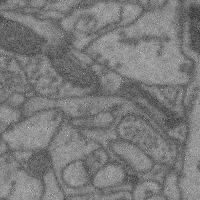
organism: Mouse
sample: Cerebral cortex